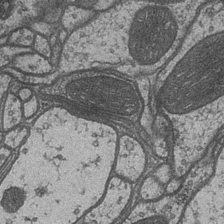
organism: Drosophila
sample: Optic medulla